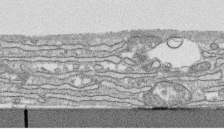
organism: Human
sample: CRL-1474